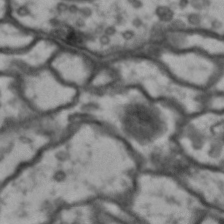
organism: Drosophila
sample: Brain